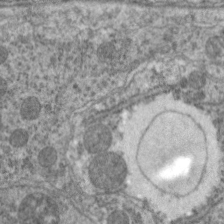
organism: C. elegans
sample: Pharynx